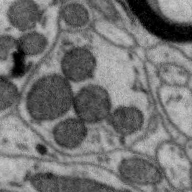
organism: Zebra finch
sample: Brain